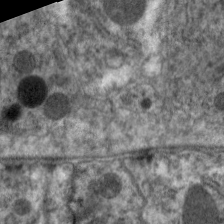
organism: C. elegans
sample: Pharynx